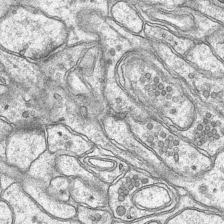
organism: Mouse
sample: CA1 Hippocampus